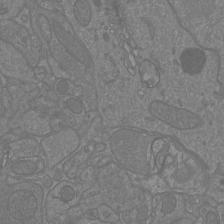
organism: Mouse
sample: Cortical neurons